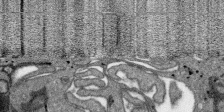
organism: Human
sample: Lung epithelial cells, uninfected (mock) control